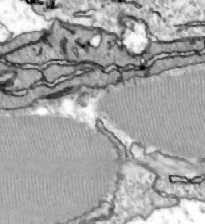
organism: Zebrafish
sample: Actinotrichia fibers